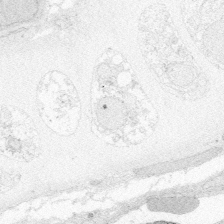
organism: Zebrafish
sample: Whole-Brain